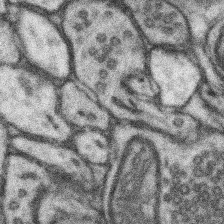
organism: Mouse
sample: Somatosensory cortex neuropil